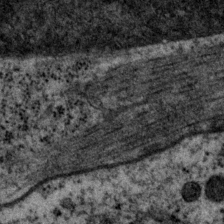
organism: P. pacificus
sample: Pharynx